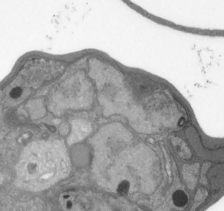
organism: Plasmodium falciparum